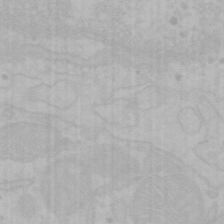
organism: Mouse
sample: Choroid plexus